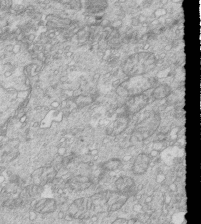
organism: Mouse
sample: Multiciliated cells